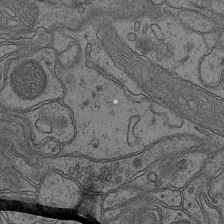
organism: Mouse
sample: CA1 Hippocampus